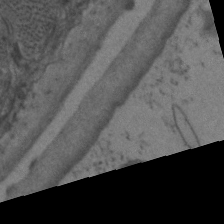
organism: C. elegans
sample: Pharynx